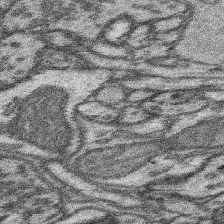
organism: Mouse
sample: Somatosensory cortex neuropil